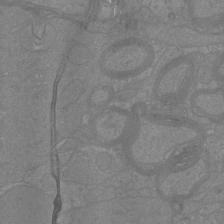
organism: Mouse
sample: Cortical neurons